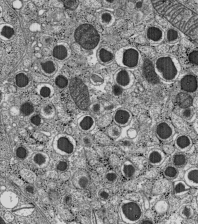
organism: C57BL Mouse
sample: Pancreatic islet